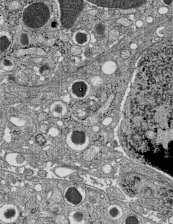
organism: C57BL Mouse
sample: Pancreatic islet